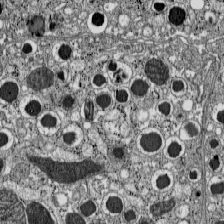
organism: C57BL Mouse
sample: Pancreatic islet